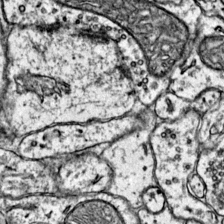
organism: Mouse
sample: Primary visual cortex